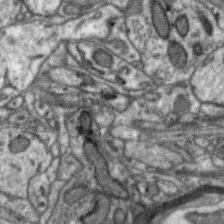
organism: Zebra finch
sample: Brain